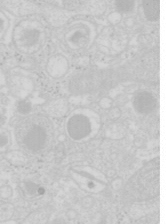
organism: Mouse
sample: Pancreas